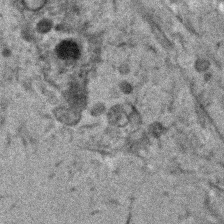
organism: Human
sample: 1205lu cells